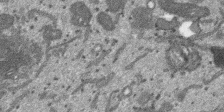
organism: Human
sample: Lung epithelial cells infected with SARS-CoV-2